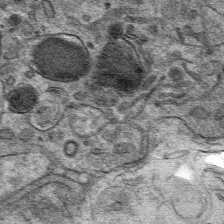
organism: Mouse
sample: Mouse hepatocytes